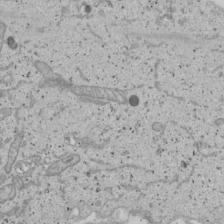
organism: Human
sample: Mitochondria in U2OS cells